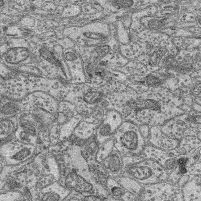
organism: Mouse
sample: Retina